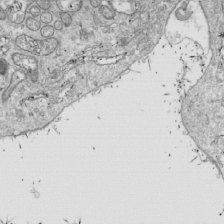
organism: Drosophila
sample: Cell division; meiosis; drosophila spermatocytes